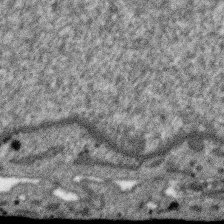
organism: Human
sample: Lung epithelial cells infected with SARS-CoV-2